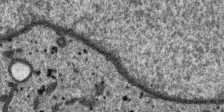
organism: Human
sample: Lung epithelial cells infected with SARS-CoV-2